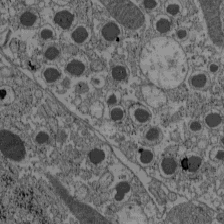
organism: C57BL Mouse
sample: Pancreatic islet